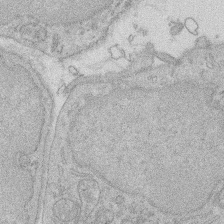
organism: Rat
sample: Salivary granule